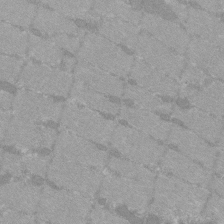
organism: C57BL Mouse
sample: Tibialis anterior muscle cell